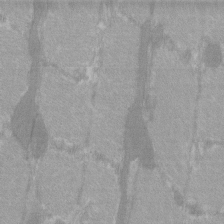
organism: C57BL Mouse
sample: Tibialis anterior muscle cell